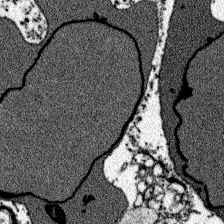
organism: Zebrafish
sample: Larval olfactory bulb